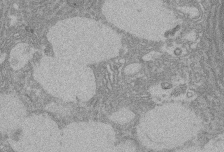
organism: Rat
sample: Salivary granule